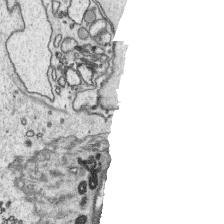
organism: Platynereis dumerilii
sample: Parapodia